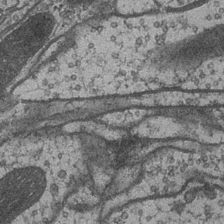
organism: Drosophila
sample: Optic medulla